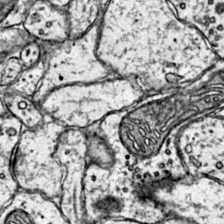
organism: Mouse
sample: Primary visual cortex